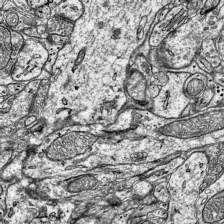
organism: Mouse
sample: Visual Cortex